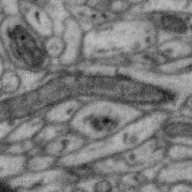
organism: Zebra finch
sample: Brain